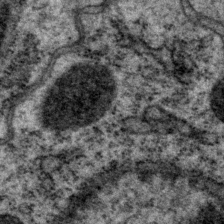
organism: P. pacificus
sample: Pharynx